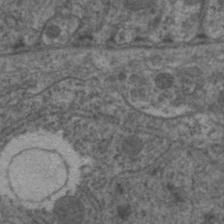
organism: C. elegans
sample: Pharynx